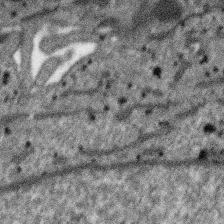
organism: Human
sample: Lung epithelial cells infected with SARS-CoV-2